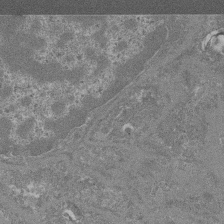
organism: Mouse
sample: Glomerulus